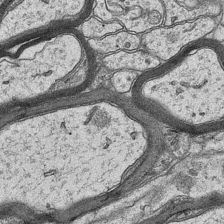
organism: Mouse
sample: CA1 Hippocampus